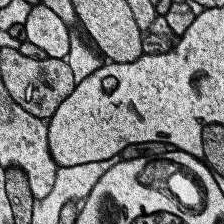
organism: Human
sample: Temporal Lobe